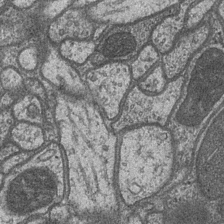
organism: Drosophila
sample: Optic medulla